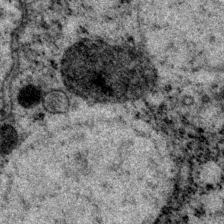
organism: P. pacificus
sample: Pharynx